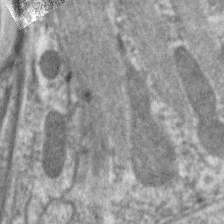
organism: C. elegans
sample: Pharynx